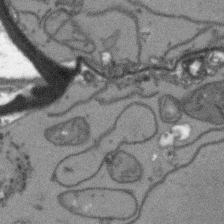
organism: Arabidopsis thaliana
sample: Root tip